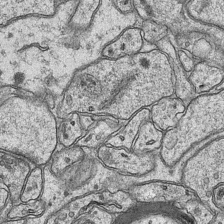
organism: Mouse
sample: CA1 Hippocampus